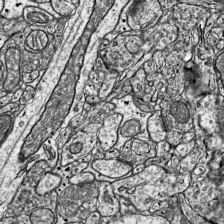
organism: Mouse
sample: Visual Cortex